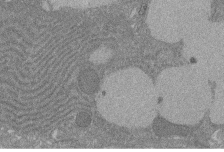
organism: Rat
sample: Salivary granule